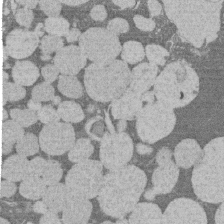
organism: Rat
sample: Salivary granule